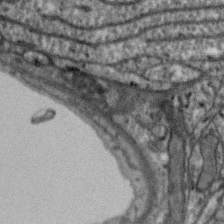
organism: Zebra finch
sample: Brain